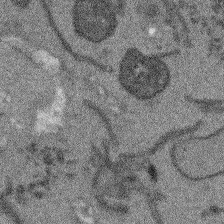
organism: Arabidopsis thaliana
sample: Root tip